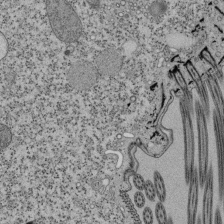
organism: Tetrahymena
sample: Cilia in tetrahymena